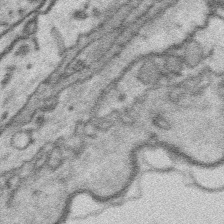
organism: Platynereis dumerilii